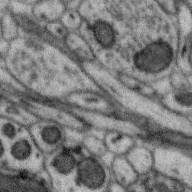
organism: Zebra finch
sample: Brain